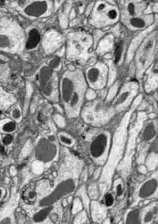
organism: Drosophila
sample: Optic lobe